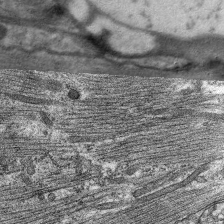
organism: C. elegans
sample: Pharynx